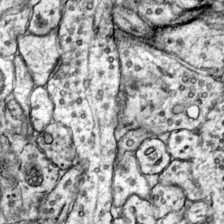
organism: Mouse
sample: Primary visual cortex